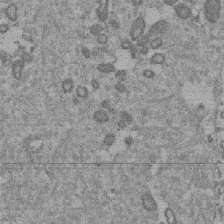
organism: Mouse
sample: Dividing mouse embryo 1 cell stage